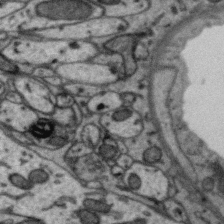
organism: Zebra finch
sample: Brain